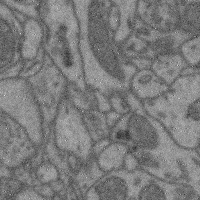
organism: Mouse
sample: Cerebral cortex